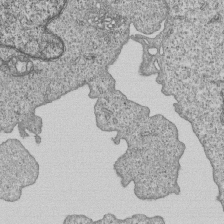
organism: Human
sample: MDA-MB-231 cells